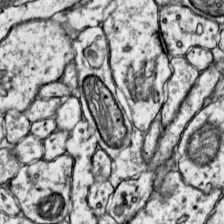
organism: Mouse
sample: Primary visual cortex